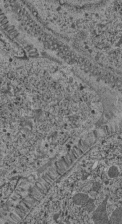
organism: C. elegans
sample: C. elegans pharynx